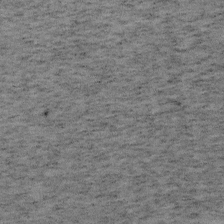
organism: Mouse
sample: OT-I killer T cells with ID8 ovarian cancer cells